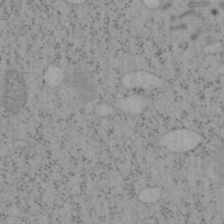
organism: Mouse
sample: OT-I killer T cells with ID8 ovarian cancer cells